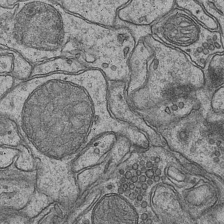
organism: Mouse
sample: CA1 Hippocampus